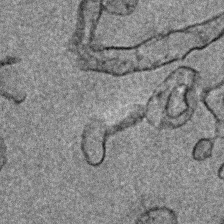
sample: Trachea